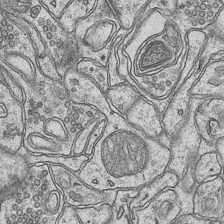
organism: Mouse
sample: CA1 Hippocampus